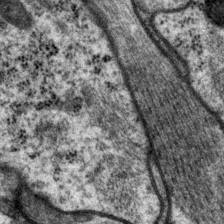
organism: P. pacificus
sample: Pharynx